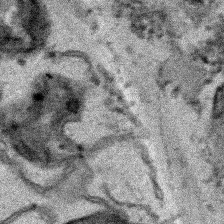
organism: Human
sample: Mitochondria in HCT116 cells